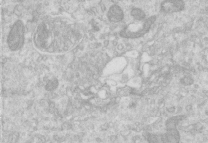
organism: Human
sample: Centriole in RPE cells